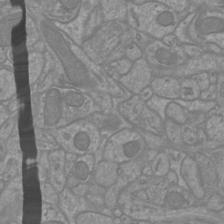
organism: Mouse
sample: Cortical neurons